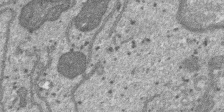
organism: Human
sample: Lung epithelial cells infected with SARS-CoV-2